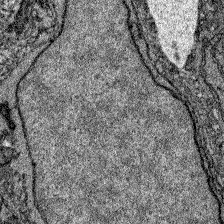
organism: Zebrafish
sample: Larval olfactory bulb